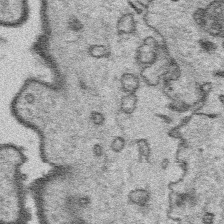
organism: Platynereis dumerilii